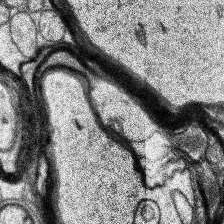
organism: Human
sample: Temporal Lobe